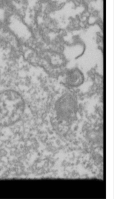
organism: Drosophila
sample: Cell division; meiosis; drosophila spermatocytes